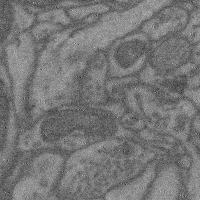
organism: Mouse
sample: Cerebral cortex